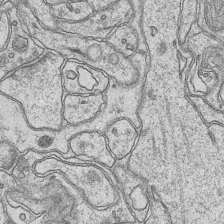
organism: Mouse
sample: CA1 Hippocampus